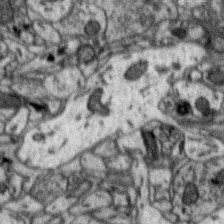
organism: Zebra finch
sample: Brain